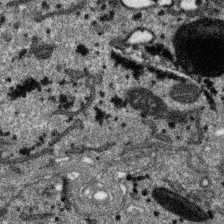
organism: Human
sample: Lung epithelial cells infected with SARS-CoV-2